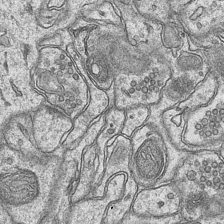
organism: Mouse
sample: CA1 Hippocampus